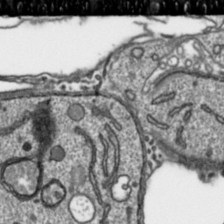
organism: Toxoplasma gondii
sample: Parasites in a vacuole inside a host cell